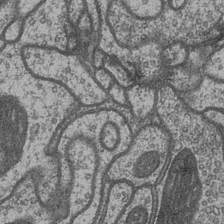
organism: Drosophila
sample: Optic medulla